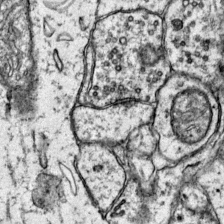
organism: Mouse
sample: Primary visual cortex